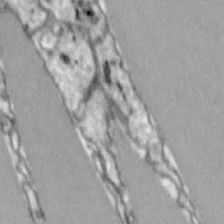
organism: Zebrafish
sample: Actinotrichia fibers